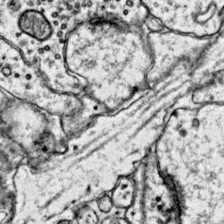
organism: Mouse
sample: Primary visual cortex